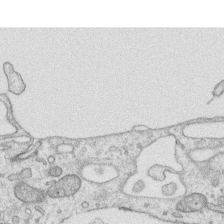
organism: Human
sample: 1205lu cells